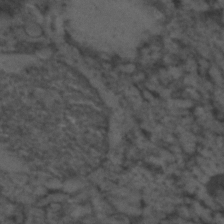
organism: C. elegans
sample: C. elegans embryo